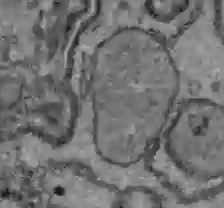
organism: C57BL Mouse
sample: Liver